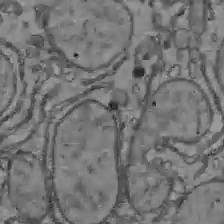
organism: C57BL Mouse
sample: Liver